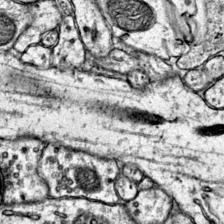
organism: Mouse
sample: Primary visual cortex